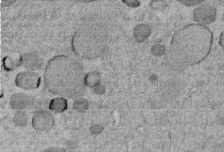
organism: C. elegans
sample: C. elegans embryo early stage